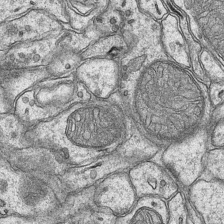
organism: Mouse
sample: CA1 Hippocampus